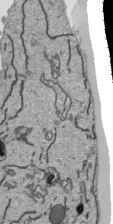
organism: Human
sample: Mitochondria in HCT116 cells